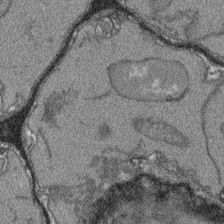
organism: Arabidopsis thaliana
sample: Root tip